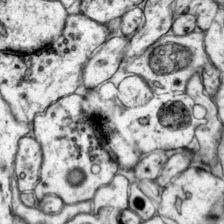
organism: Mouse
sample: Primary visual cortex